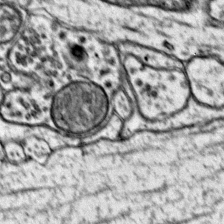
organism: Mouse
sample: Primary visual cortex